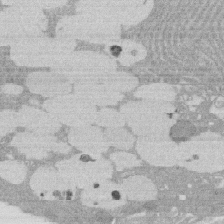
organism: Rat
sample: Salivary granule